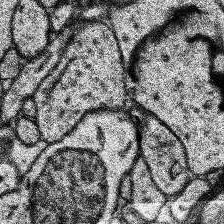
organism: Human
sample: Temporal Lobe